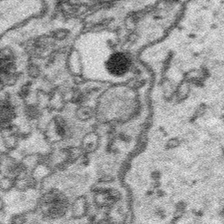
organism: Platynereis dumerilii